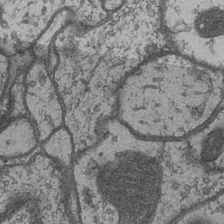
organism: Drosophila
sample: Optic medulla